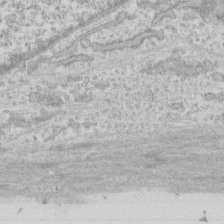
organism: Human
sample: CRL-1474